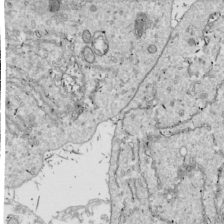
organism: Drosophila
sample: Cell division; meiosis; drosophila spermatocytes